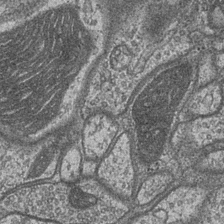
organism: Drosophila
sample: Optic medulla